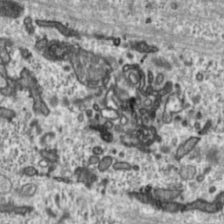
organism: Toxoplasma gondii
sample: Parasites in a vacuole inside a host cell